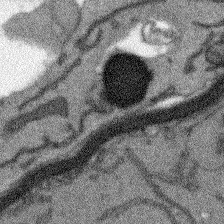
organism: Arabidopsis thaliana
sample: Root tip